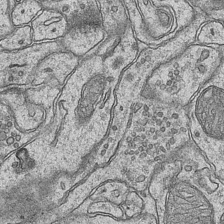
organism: Mouse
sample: CA1 Hippocampus